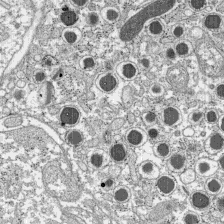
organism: C57BL Mouse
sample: Pancreatic islet